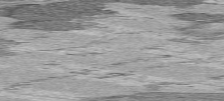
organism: C57BL Mouse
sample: Heart